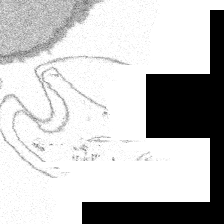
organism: Spongilla lacustris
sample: Multiple